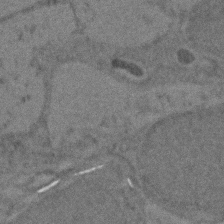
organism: Zebrafish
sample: Zebrafish embryo